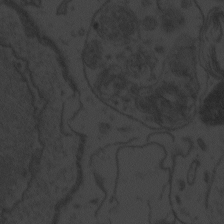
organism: Zebrafish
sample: Macrophage infected with Toxoplasma gondii